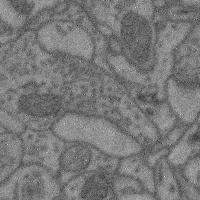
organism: Mouse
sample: Cerebral cortex